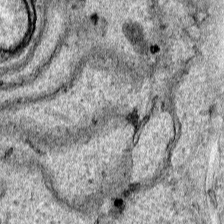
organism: Human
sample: Mitochondria in HCT116 cells